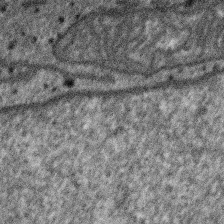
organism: Human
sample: Lung epithelial cells infected with SARS-CoV-2